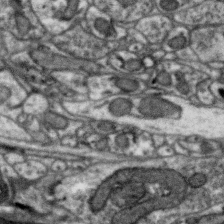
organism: Zebra finch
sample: Brain